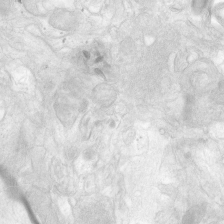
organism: Human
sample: Neocortex